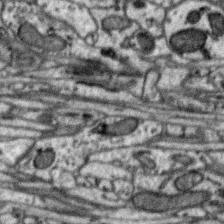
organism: Zebra finch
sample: Brain